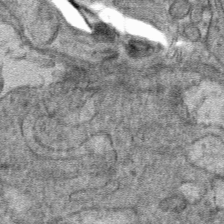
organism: Mouse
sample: Mouse hepatocytes